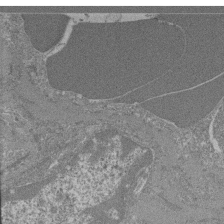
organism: Mouse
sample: Glomerulus